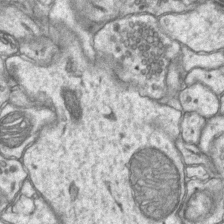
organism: Mouse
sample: CA1 Hippocampus